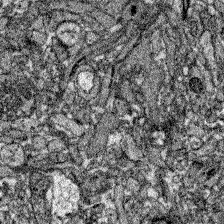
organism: Zebrafish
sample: Larval olfactory bulb